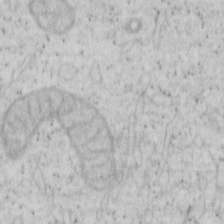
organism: Human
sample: HeLa cells